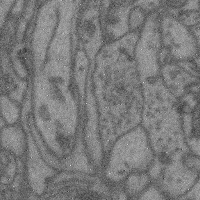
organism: Mouse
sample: Cerebral cortex